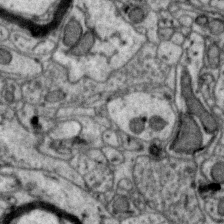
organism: Zebra finch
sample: Brain